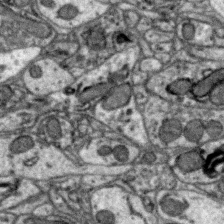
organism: Zebra finch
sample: Brain